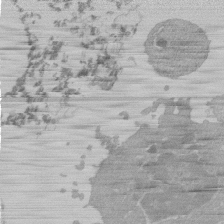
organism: Mouse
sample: Activated Pmel transgenic CD8+ T Cells